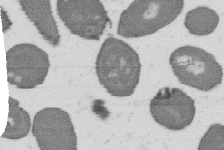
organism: B. subtilis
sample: Bacterial spore